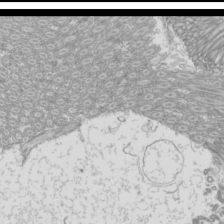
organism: Mouse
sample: Cilia; mouse epididymis